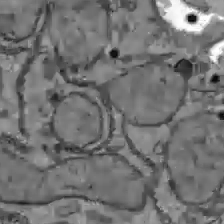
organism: C57BL Mouse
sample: Liver